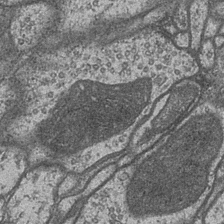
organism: Drosophila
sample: Optic medulla